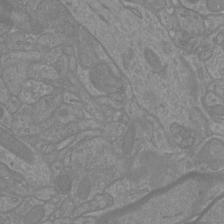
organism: Mouse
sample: Cortical neurons